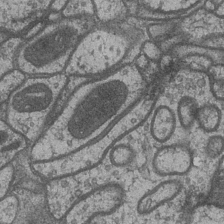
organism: Drosophila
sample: Optic medulla